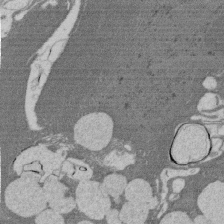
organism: Rat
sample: Salivary granule